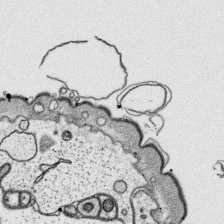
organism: Platynereis dumerilii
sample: Parapodia